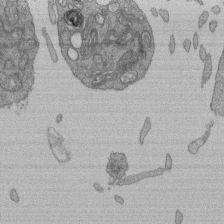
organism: Human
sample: Retinal organoid Rod and Cone cells